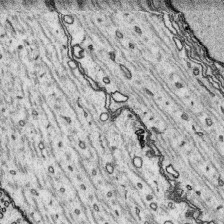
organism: Platynereis dumerilii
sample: Parapodia